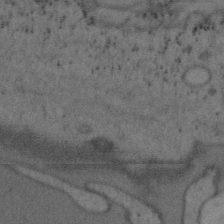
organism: Human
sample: HeLa cells